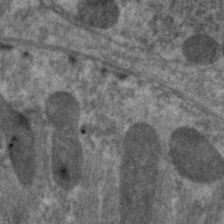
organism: C. elegans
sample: Pharynx